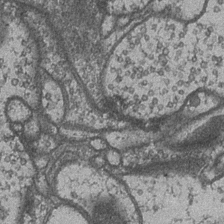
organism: Drosophila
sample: Optic medulla